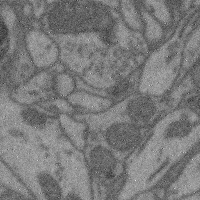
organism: Mouse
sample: Cerebral cortex